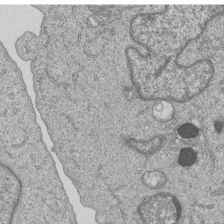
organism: Human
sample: MDA-MB-231 cells